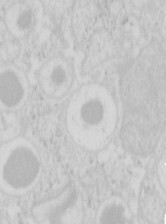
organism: Mouse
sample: Pancreas